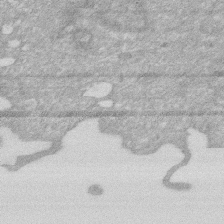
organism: Human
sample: HIV infected U937 cells